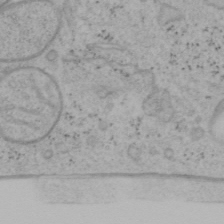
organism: Human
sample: HeLa cells